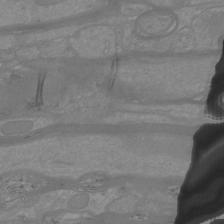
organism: Mouse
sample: Cortical neurons